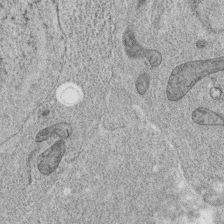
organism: C. elegans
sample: C. elegans oocyte; sperm cells